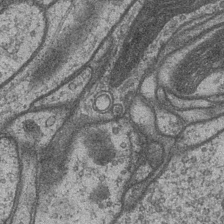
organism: Drosophila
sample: Optic medulla